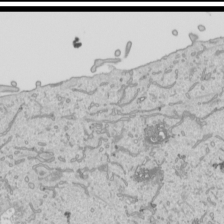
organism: Human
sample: Mitochondria in HCT116 cells